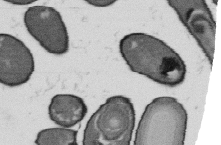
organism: B. subtilis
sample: Bacterial spore